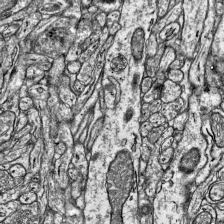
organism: Mouse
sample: Visual Cortex